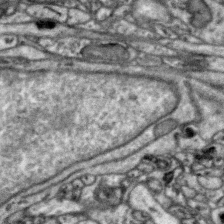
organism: Zebra finch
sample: Brain